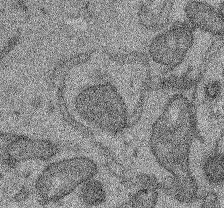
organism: Human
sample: HeLa cells